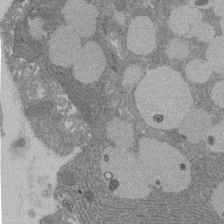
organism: Rat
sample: Salivary granule